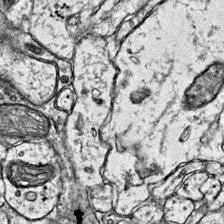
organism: Mouse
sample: Primary visual cortex